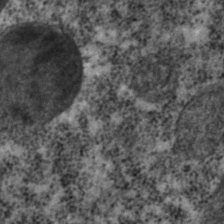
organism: C. elegans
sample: C. elegans embryo